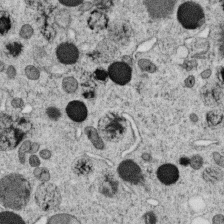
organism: C. elegans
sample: C. elegans oocyte; sperm cells